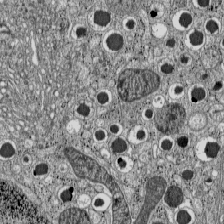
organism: C57BL Mouse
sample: Pancreatic islet